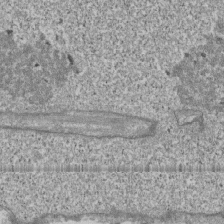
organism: Human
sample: Fibroblast cells